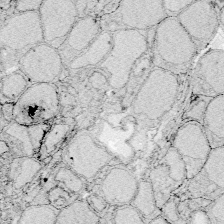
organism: Zebrafish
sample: Whole-Brain